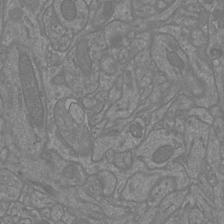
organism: Mouse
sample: Cortical neurons